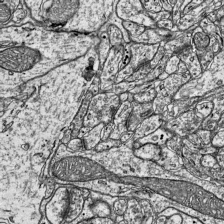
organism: Mouse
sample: Visual Cortex